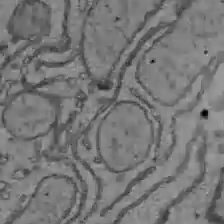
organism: C57BL Mouse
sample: Liver